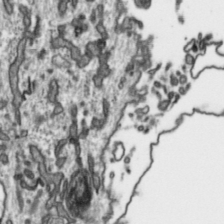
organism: Toxoplasma gondii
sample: Parasites in a vacuole inside a host cell